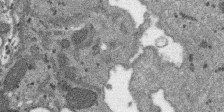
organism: Human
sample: Lung epithelial cells infected with SARS-CoV-2